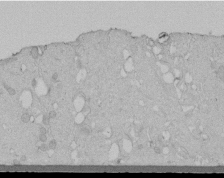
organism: Human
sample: Melanocyte Keratinocyte synapse skin construct